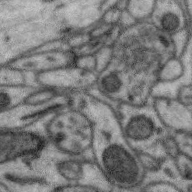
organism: Zebra finch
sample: Brain